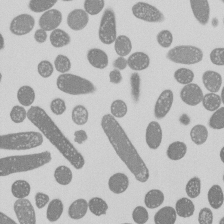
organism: E. coli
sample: Bacterial nucleoid